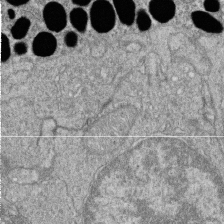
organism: Zebrafish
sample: Cilia; retinal pigment epithelium